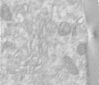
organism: Human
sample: Centriole in RPE cells